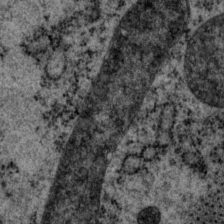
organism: P. pacificus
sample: Pharynx